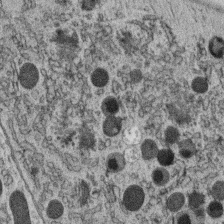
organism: C. elegans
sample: C. elegans oocyte; sperm cells